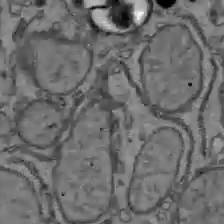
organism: C57BL Mouse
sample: Liver